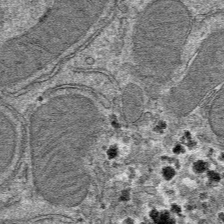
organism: Mouse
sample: Mouse hepatocytes